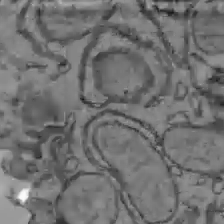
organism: C57BL Mouse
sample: Liver